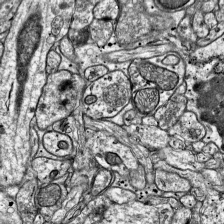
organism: Mouse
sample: Visual Cortex